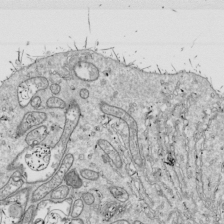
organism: Drosophila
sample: Cell division; meiosis; drosophila spermatocytes